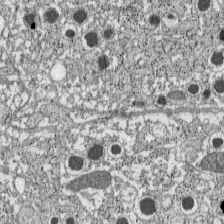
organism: C57BL Mouse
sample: Pancreatic islet